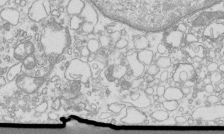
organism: Mouse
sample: Macrophages